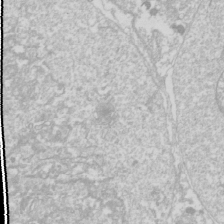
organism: Drosophila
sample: Cell division; meiosis; drosophila spermatocytes